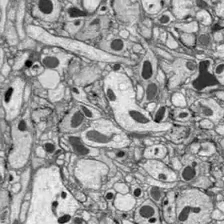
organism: Drosophila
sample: Optic lobe